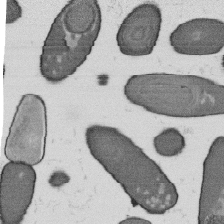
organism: B. subtilis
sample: Bacterial spore